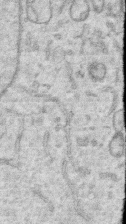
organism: Human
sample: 1205lu cells